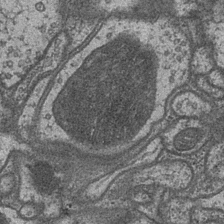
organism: Drosophila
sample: Optic medulla